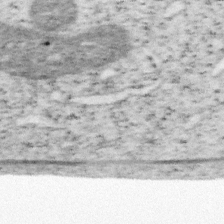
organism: Mouse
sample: OT-I killer T cells with ID8 ovarian cancer cells